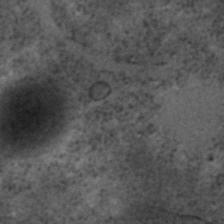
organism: C. elegans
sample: C. elegans embryo